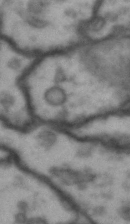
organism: Drosophila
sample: Brain